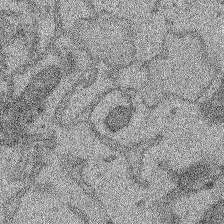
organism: Human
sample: HeLa cells